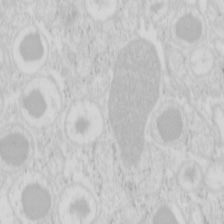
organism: Mouse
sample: Pancreas